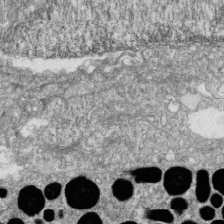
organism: Zebrafish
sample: Cilia; retinal pigment epithelium